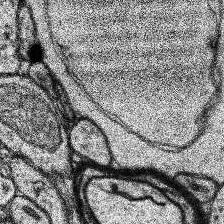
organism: Human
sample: Temporal Lobe